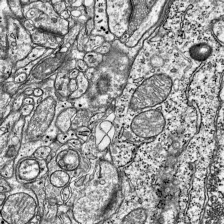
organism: Mouse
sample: Visual Cortex